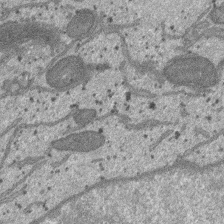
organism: Human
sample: Lung epithelial cells infected with SARS-CoV-2